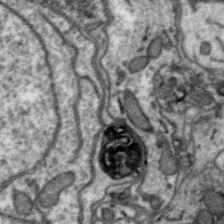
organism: Zebra finch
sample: Brain